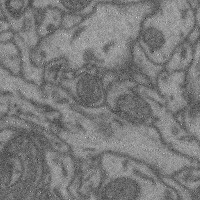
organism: Mouse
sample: Cerebral cortex